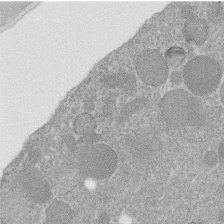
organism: C. elegans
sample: C. elegans embryo early stage